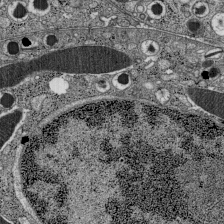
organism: C57BL Mouse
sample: Pancreatic islet